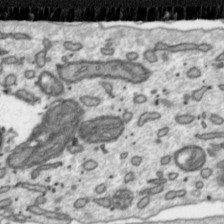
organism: Toxoplasma gondii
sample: Parasites in a vacuole inside a host cell